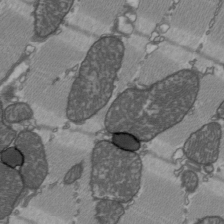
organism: C57BL Mouse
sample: Heart